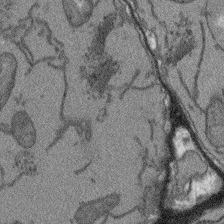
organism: Arabidopsis thaliana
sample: Root tip